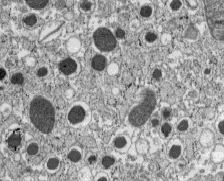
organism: C57BL Mouse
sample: Pancreatic islet